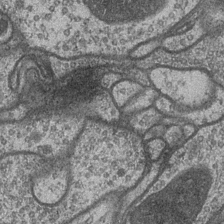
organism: Drosophila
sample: Optic medulla